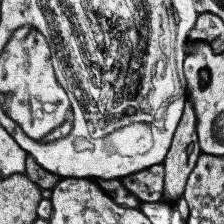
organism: Human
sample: Temporal Lobe